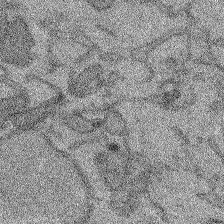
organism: Human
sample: HeLa cells